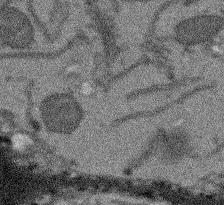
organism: Arabidopsis thaliana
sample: Root tip